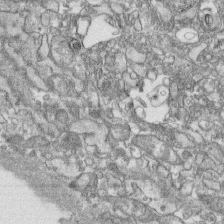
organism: Human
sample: CRL-1474